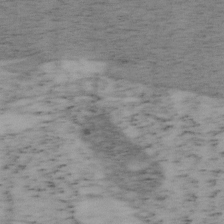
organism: Mouse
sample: OT-I killer T cells with ID8 ovarian cancer cells